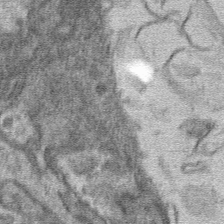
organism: Mouse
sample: Mouse hepatocytes